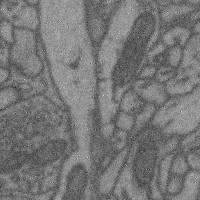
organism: Mouse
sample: Cerebral cortex